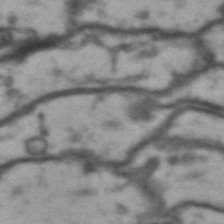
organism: Drosophila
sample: Brain